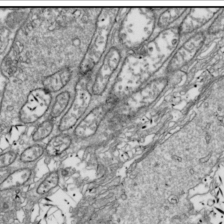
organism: Drosophila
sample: Cell division; meiosis; drosophila spermatocytes